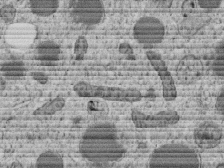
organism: C. elegans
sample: C. elegans embryo early stage